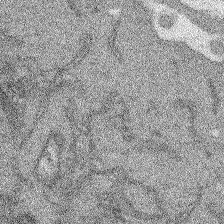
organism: Human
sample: HeLa cells